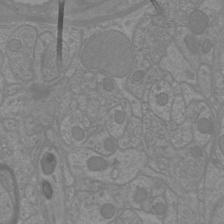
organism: Mouse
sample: Cortical neurons